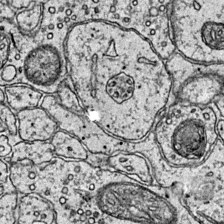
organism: Mouse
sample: Primary visual cortex